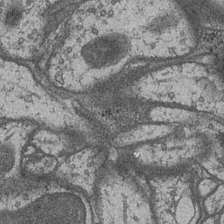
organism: Drosophila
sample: Optic medulla